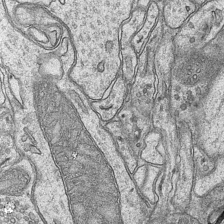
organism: Mouse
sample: CA1 Hippocampus